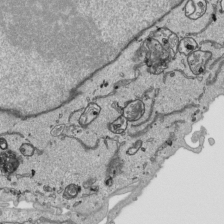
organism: Human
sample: Mitochondria in HCT116 cells